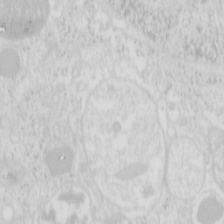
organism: Mouse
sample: Pancreas